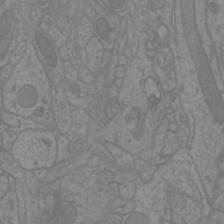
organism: Mouse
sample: Cortical neurons